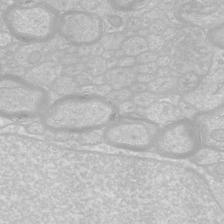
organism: Mouse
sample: Cortical neurons